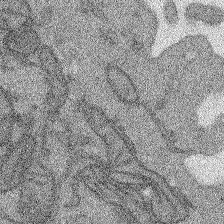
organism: Human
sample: HeLa cells